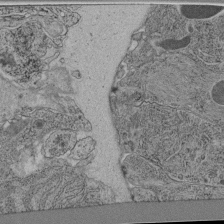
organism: C. elegans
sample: C. elegans pharynx